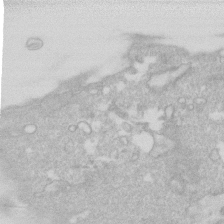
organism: Human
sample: Fibroblast cells